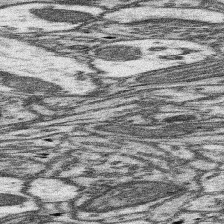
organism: Mouse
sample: Somatosensory cortex neuropil